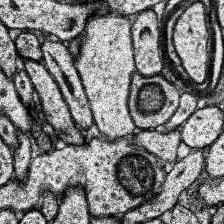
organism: Human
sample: Temporal Lobe